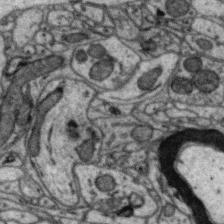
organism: Zebra finch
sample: Brain